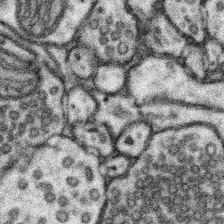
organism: Mouse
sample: Somatosensory cortex neuropil